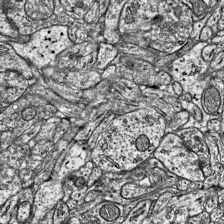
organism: Mouse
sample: Visual Cortex